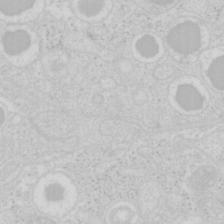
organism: Mouse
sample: Pancreas